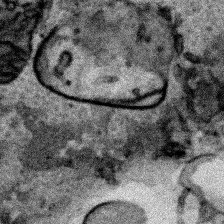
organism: Human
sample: Mitochondria in HCT116 cells